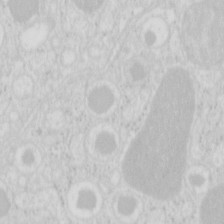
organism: Mouse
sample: Pancreas